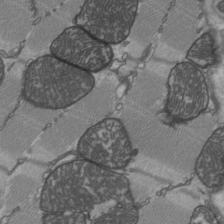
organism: C57BL Mouse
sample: Heart